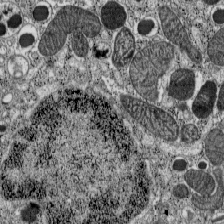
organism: C57BL Mouse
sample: Pancreatic islet